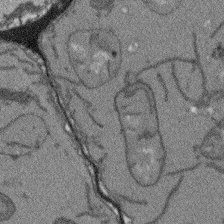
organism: Arabidopsis thaliana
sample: Root tip